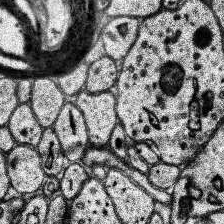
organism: Human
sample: Temporal Lobe